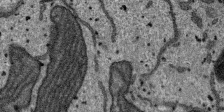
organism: Human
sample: Lung epithelial cells, uninfected (mock) control